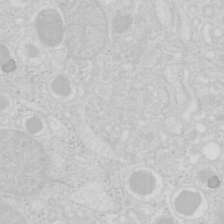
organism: Mouse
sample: Pancreas